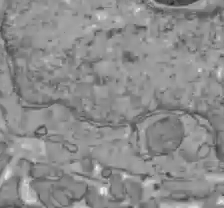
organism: C57BL Mouse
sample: Liver